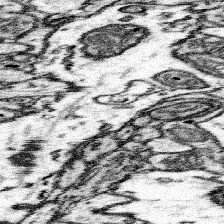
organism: Mouse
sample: Somatosensory cortex neuropil